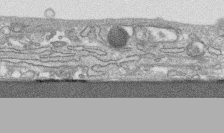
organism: Human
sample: CRL-1474